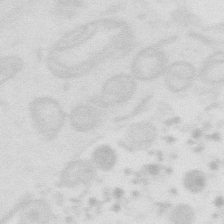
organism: Human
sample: HeLa cells